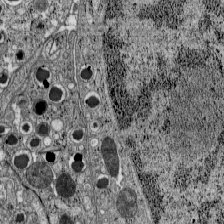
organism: C57BL Mouse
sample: Pancreatic islet